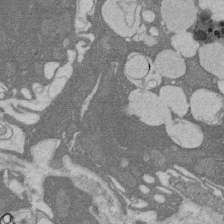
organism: Rat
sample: Salivary granule